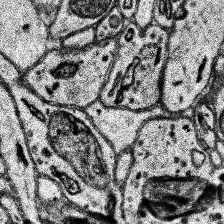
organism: Human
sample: Temporal Lobe